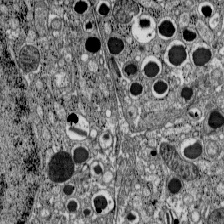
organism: C57BL Mouse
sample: Pancreatic islet